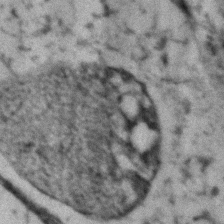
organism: Zebrafish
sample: Zebrafish embryo